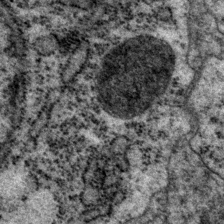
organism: P. pacificus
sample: Pharynx